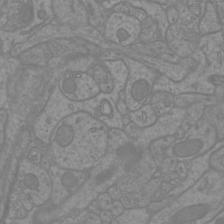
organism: Mouse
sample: Cortical neurons